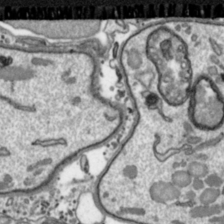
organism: Toxoplasma gondii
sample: Parasites in a vacuole inside a host cell